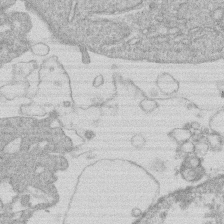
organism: Human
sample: Macrophage cells